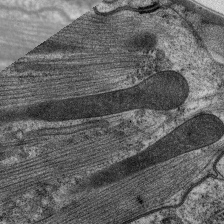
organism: C. elegans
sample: Pharynx